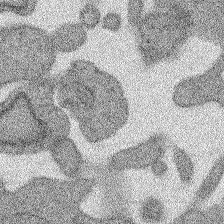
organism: Human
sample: HeLa cells